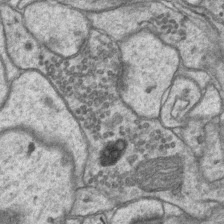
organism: Mouse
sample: CA1 Hippocampus